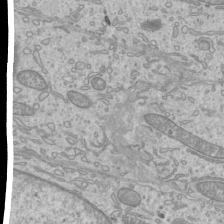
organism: Mouse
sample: Cilia; mouse epididymis